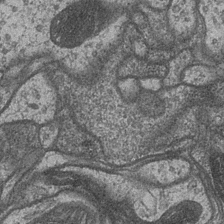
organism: Drosophila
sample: Optic medulla